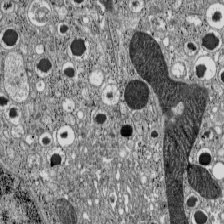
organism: C57BL Mouse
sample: Pancreatic islet